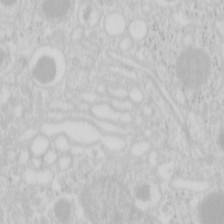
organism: Mouse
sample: Pancreas